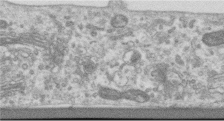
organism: Human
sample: Centriole in RPE cells